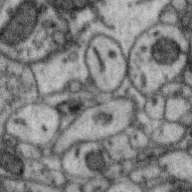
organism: Zebra finch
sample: Brain